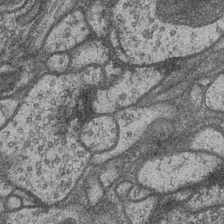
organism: Drosophila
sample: Optic medulla